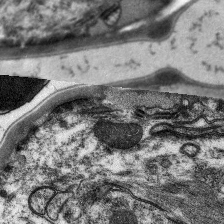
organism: C. elegans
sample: Pharynx